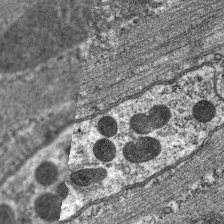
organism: C. elegans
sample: Pharynx